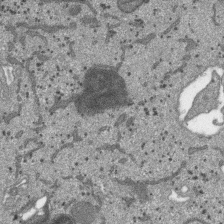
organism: Human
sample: Lung epithelial cells infected with SARS-CoV-2